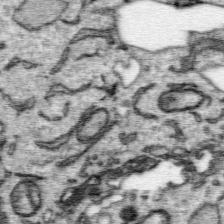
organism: Human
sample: HeLa cells